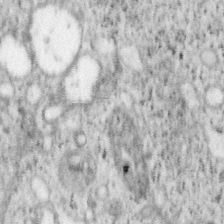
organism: Mouse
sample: OT-I killer T cells with ID8 ovarian cancer cells